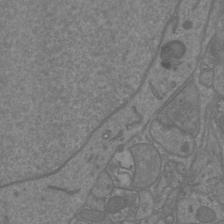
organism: Mouse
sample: Cortical neurons